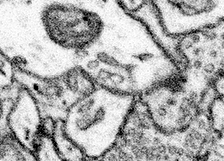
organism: Mouse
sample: Somatosensory cortex neuropil